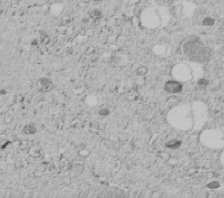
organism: C. elegans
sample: C. elegans embryo early stage